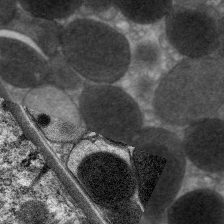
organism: C. elegans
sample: Pharynx